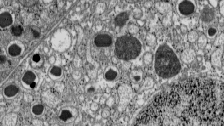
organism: C57BL Mouse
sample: Pancreatic islet